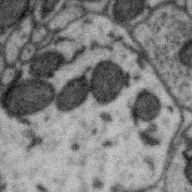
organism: Zebra finch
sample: Brain